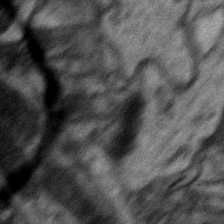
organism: Mouse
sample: CA1 Hippocampus